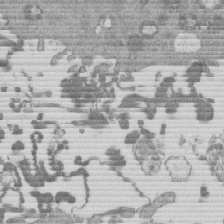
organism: Mouse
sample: Dividing mouse embryo 1 cell stage